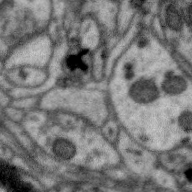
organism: Zebra finch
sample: Brain